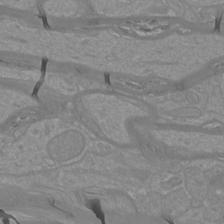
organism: Mouse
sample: Cortical neurons